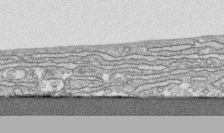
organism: Human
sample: CRL-1474